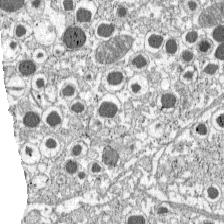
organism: C57BL Mouse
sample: Pancreatic islet